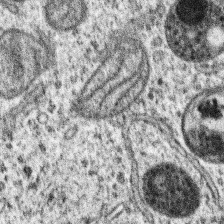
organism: Human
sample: HeLa cells